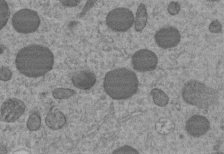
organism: C. elegans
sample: C. elegans embryo early stage